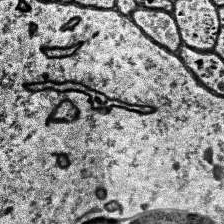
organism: Human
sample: Temporal Lobe